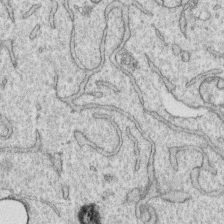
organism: Human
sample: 1205lu cells